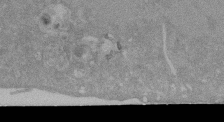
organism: Mouse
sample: ED-1 cell nuclei; centrioles